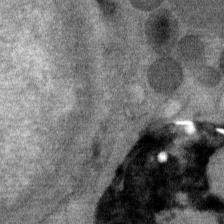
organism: Mouse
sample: Mouse Salivary gland